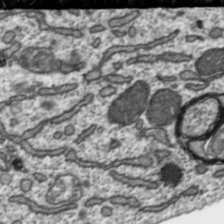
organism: Toxoplasma gondii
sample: Parasites in a vacuole inside a host cell